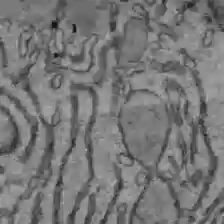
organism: C57BL Mouse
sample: Liver